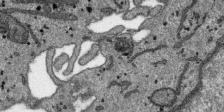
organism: Human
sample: Lung epithelial cells, uninfected (mock) control